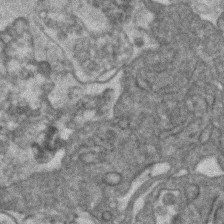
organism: Human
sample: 1205lu cells